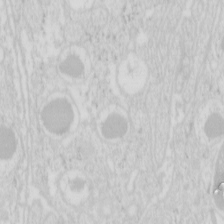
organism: Mouse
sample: Pancreas